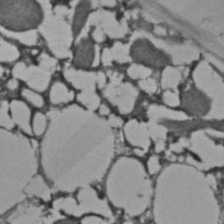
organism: C. elegans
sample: C. elegans embryo